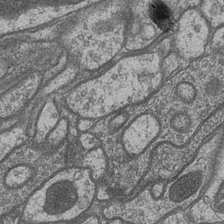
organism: Drosophila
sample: Optic medulla